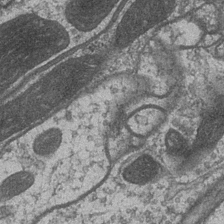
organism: Drosophila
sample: Optic medulla